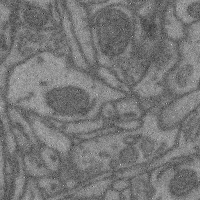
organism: Mouse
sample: Cerebral cortex